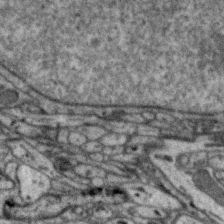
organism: Zebra finch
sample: Brain